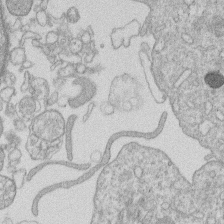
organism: Human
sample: Macrophage cells